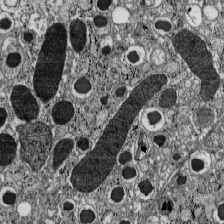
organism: C57BL Mouse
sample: Pancreatic islet